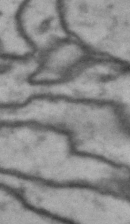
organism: Drosophila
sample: Brain